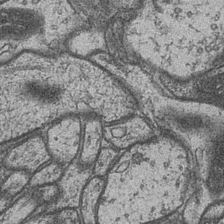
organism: Drosophila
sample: Optic medulla